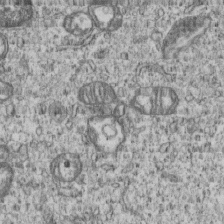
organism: Human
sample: MDA-MB-231 cells